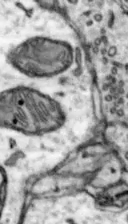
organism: Mouse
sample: Nucleus accumbens